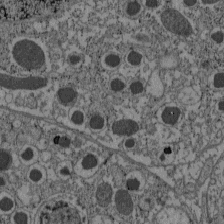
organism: C57BL Mouse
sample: Pancreatic islet